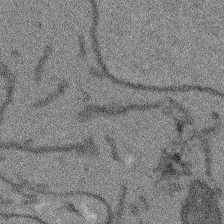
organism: Arabidopsis thaliana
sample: Root tip